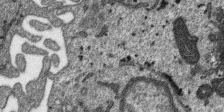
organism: Human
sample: Lung epithelial cells infected with SARS-CoV-2